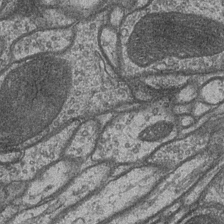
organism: Drosophila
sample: Optic medulla